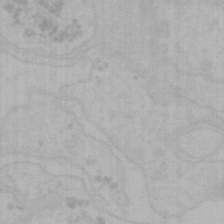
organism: Mouse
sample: Choroid plexus